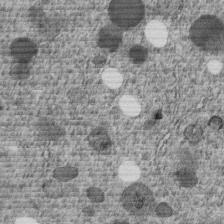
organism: C. elegans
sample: C. elegans embryo early stage